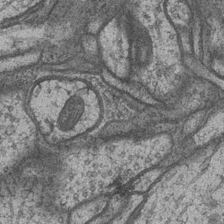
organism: Drosophila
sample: Optic medulla